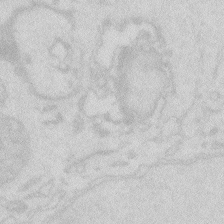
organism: Zebrafish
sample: Macrophage